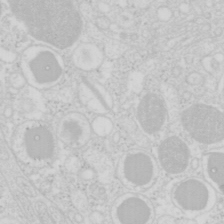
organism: Mouse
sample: Pancreas